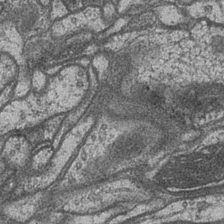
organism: Drosophila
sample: Optic medulla